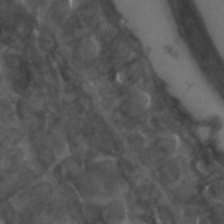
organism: C. elegans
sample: C. elegans embryo